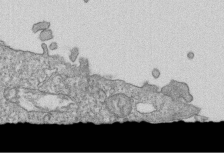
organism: Human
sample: HeLa cell HIV synapse